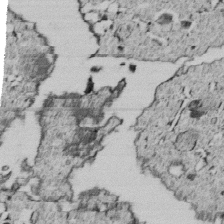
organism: C. elegans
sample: C. elegans embryo early stage